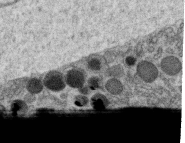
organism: C. elegans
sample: C. elegans oocyte; sperm cells